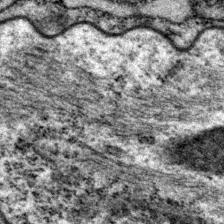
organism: P. pacificus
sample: Pharynx